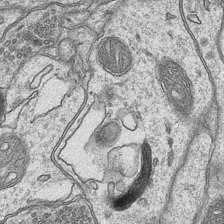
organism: Mouse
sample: CA1 Hippocampus